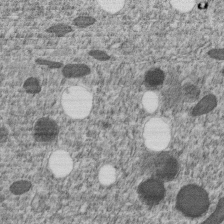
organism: C. elegans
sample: C. elegans embryo early stage